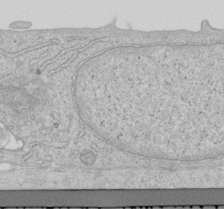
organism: Human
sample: Centriole in RPE cells